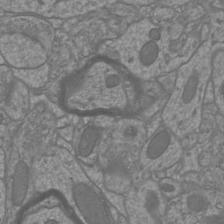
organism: Mouse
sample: Cortical neurons